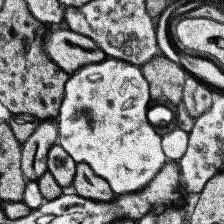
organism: Human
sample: Temporal Lobe